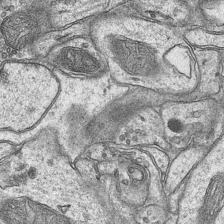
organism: Mouse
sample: CA1 Hippocampus